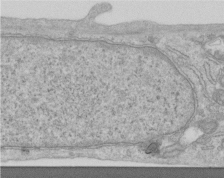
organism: Human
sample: Centriole in RPE cells